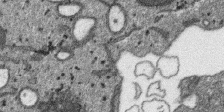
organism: Human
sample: Lung epithelial cells infected with SARS-CoV-2